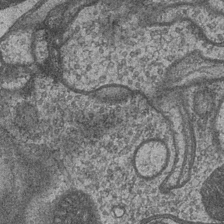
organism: Drosophila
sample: Optic medulla